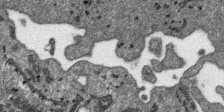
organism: Human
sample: Lung epithelial cells infected with SARS-CoV-2